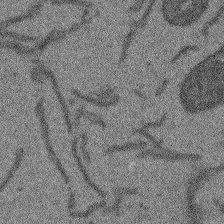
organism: Arabidopsis thaliana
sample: Root tip